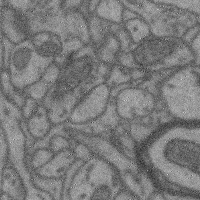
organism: Mouse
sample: Cerebral cortex